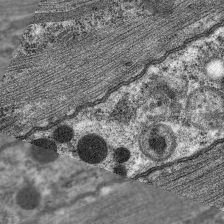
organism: C. elegans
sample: Pharynx